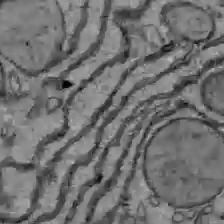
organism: C57BL Mouse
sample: Liver